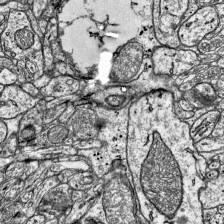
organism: Mouse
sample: Visual Cortex